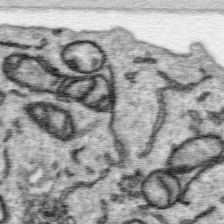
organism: Human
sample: HeLa cells